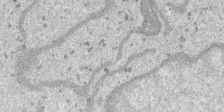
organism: Human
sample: Lung epithelial cells infected with SARS-CoV-2